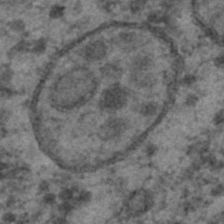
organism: C. elegans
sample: C. elegans embryo